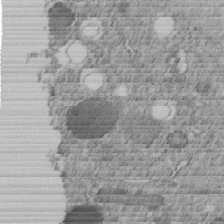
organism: C. elegans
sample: C. elegans embryo early stage